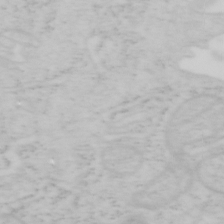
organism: Mouse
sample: OT-I killer T cells with ID8 ovarian cancer cells